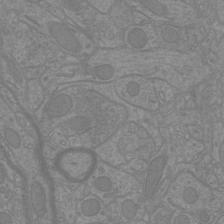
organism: Mouse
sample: Cortical neurons